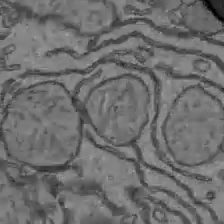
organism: C57BL Mouse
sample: Liver